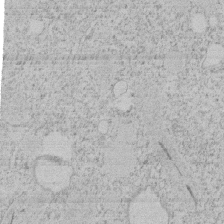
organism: Tetrahymena